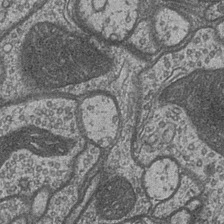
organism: Drosophila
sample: Optic medulla